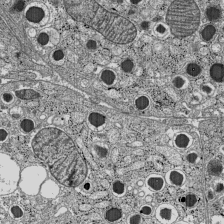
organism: C57BL Mouse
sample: Pancreatic islet